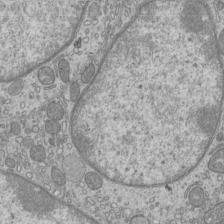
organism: Mouse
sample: Cilia; mouse epididymis